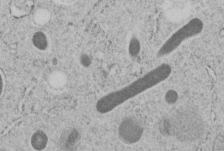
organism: C. elegans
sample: C. elegans embryo early stage